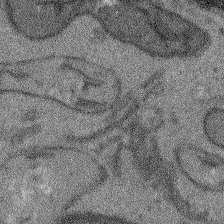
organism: Arabidopsis thaliana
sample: Root tip